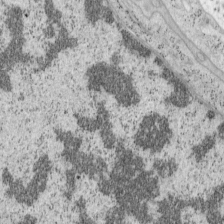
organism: Mouse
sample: OT-I killer T cells with ID8 ovarian cancer cells